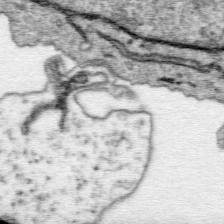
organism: Human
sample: HeLa cells